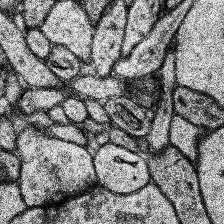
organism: Human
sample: Temporal Lobe